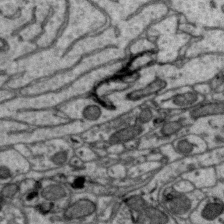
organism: Zebra finch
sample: Brain